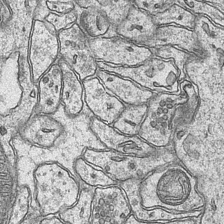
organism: Mouse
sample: CA1 Hippocampus